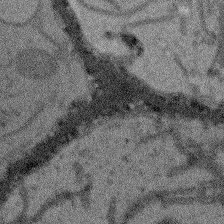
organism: Arabidopsis thaliana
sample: Root tip